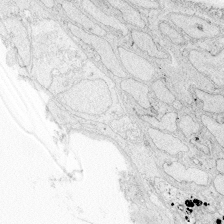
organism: Zebrafish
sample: Whole-Brain